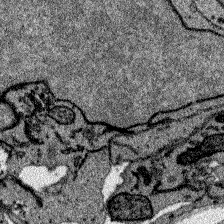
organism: Zebrafish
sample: Larval olfactory bulb